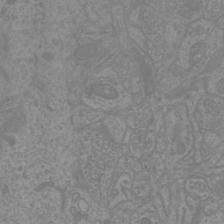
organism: Mouse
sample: Cortical neurons